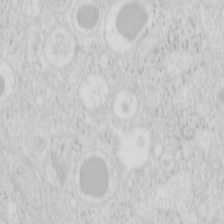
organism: Mouse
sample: Pancreas